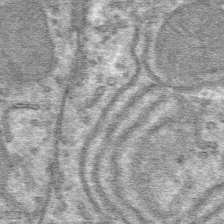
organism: Mouse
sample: Mouse hepatocytes